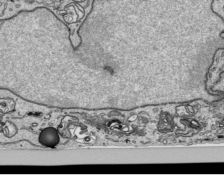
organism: Human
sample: Mitochondria in HCT116 cells